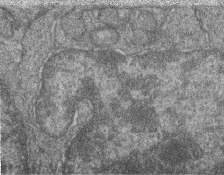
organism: Zebrafish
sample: Cilia; retinal pigment epithelium